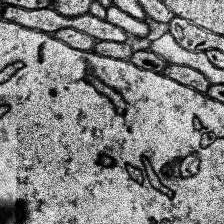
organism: Human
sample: Temporal Lobe